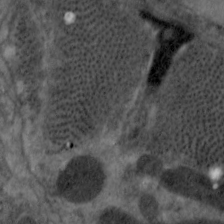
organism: C. elegans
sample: Pharynx